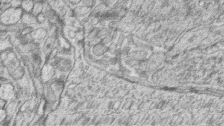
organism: Zebrafish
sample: synaptic ribbons in rod cells and cone cells